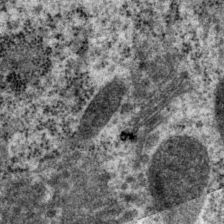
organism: P. pacificus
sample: Pharynx